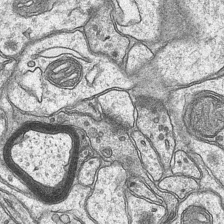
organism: Mouse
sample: CA1 Hippocampus